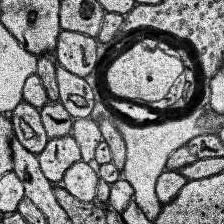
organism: Human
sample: Temporal Lobe